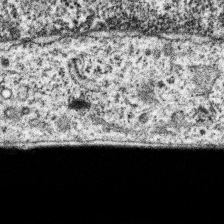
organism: Human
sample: HeLa cells